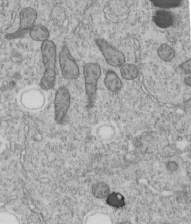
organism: C. elegans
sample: C. elegans embryo early stage